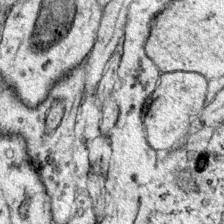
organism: Mouse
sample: Primary visual cortex